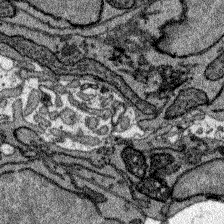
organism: Zebrafish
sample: Larval olfactory bulb